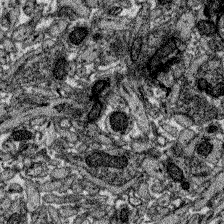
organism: Zebrafish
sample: Larval olfactory bulb